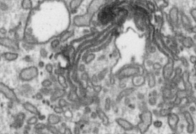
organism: Toxoplasma gondii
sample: Parasites in a vacuole inside a host cell